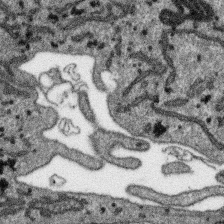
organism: Human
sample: Lung epithelial cells infected with SARS-CoV-2